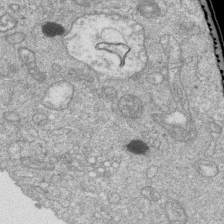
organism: Human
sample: HeLa cell HIV synapse